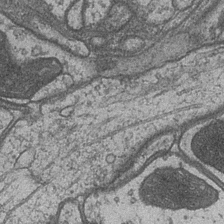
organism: Drosophila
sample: Optic medulla